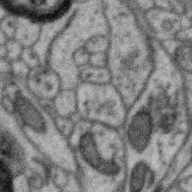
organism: Zebra finch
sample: Brain